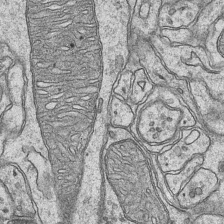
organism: Mouse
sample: CA1 Hippocampus